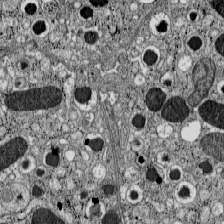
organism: C57BL Mouse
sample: Pancreatic islet